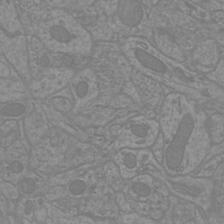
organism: Mouse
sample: Cortical neurons